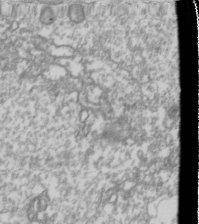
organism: Drosophila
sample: Cell division; meiosis; drosophila spermatocytes